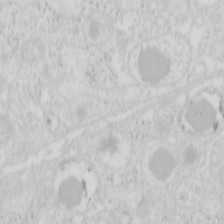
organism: Mouse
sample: Pancreas